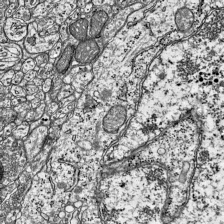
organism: Mouse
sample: Visual Cortex